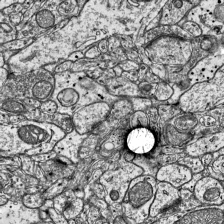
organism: Mouse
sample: Visual Cortex